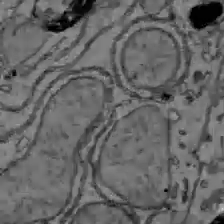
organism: C57BL Mouse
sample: Liver